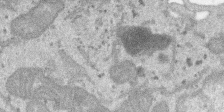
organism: Human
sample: Lung epithelial cells infected with SARS-CoV-2